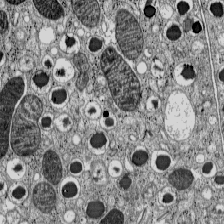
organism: C57BL Mouse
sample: Pancreatic islet